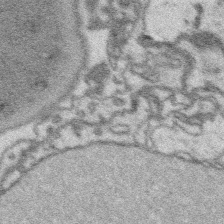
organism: Platynereis dumerilii